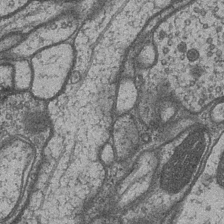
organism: Drosophila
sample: Optic medulla